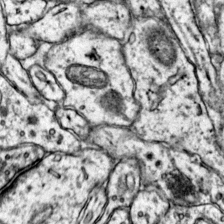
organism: Mouse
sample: Primary visual cortex